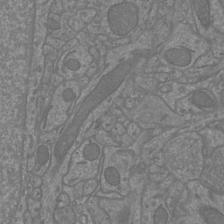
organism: Mouse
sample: Cortical neurons